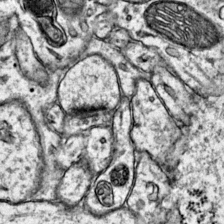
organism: Mouse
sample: Primary visual cortex